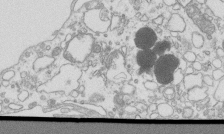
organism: Mouse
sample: Macrophages